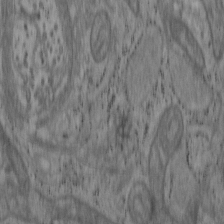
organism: Human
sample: HeLa cells